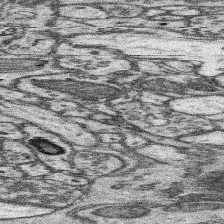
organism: Mouse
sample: Somatosensory cortex neuropil